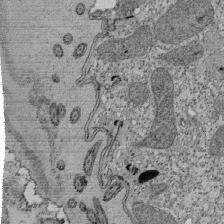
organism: Tetrahymena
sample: Cilia in tetrahymena